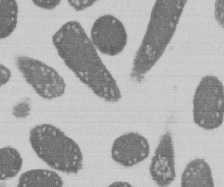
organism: E. coli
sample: Bacterial nucleoid